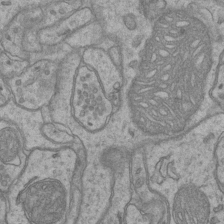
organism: Mouse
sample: CA1 Hippocampus